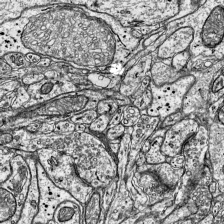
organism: Mouse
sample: Visual Cortex